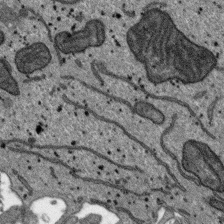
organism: Human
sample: Lung epithelial cells, uninfected (mock) control